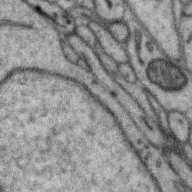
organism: Zebra finch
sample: Brain